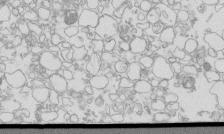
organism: Mouse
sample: Macrophages